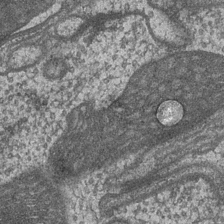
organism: Drosophila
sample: Optic medulla